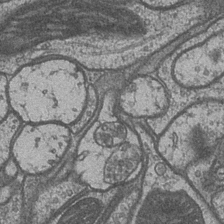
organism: Drosophila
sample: Optic medulla